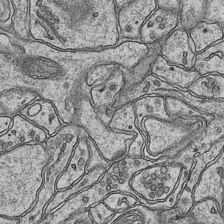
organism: Mouse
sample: CA1 Hippocampus